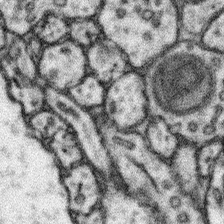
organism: Mouse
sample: Somatosensory cortex neuropil